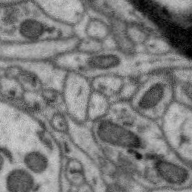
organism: Zebra finch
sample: Brain